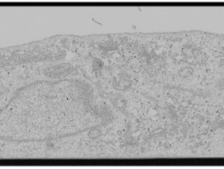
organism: Human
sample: Mitochondria in U2OS cells